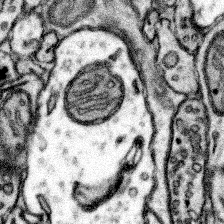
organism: Mouse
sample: Somatosensory cortex neuropil